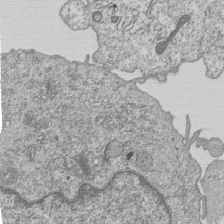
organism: Human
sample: MDA-MB-231 cells